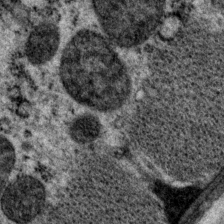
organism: P. pacificus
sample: Pharynx